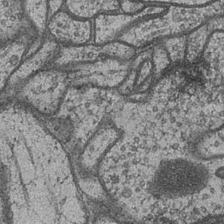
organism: Drosophila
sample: Optic medulla